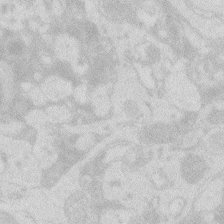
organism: Zebrafish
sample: Macrophage